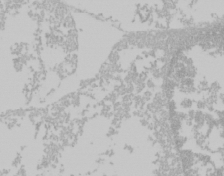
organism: Mouse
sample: Cancer cell death in ED-1 cells